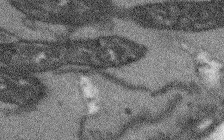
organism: Arabidopsis thaliana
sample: Root tip